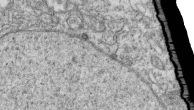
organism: Human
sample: HeLa cell HIV synapse